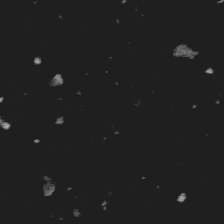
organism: Platynereis dumerilii